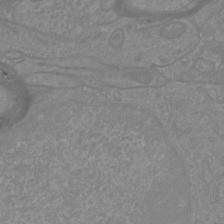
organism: Mouse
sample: Cortical neurons